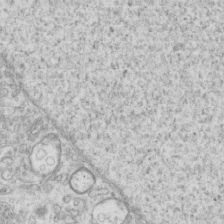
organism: Mouse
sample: Centriole in ependymal cells